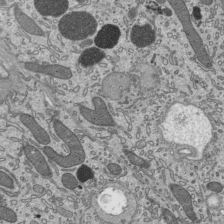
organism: Mouse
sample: Mouse epididymis efferent ductule cilia